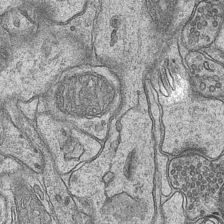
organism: Mouse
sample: CA1 Hippocampus